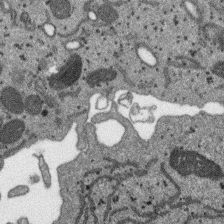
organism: Human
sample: Lung epithelial cells infected with SARS-CoV-2